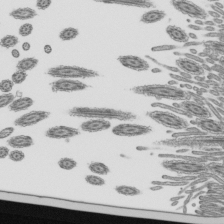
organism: Mouse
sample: Mouse epididymis efferent ductule cilia